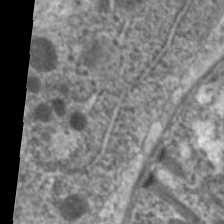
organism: C. elegans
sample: Pharynx